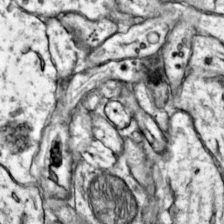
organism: Mouse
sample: Primary visual cortex